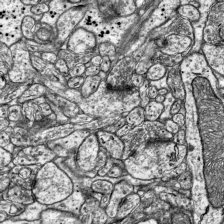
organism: Mouse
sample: Visual Cortex